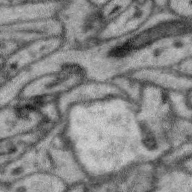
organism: Zebra finch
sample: Brain